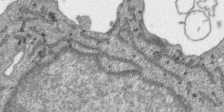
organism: Human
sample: Lung epithelial cells infected with SARS-CoV-2